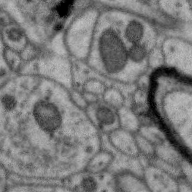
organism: Zebra finch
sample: Brain